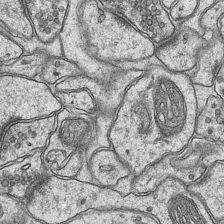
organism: Mouse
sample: CA1 Hippocampus